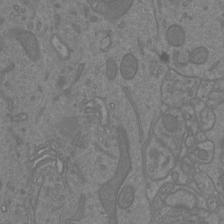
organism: Mouse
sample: Cortical neurons